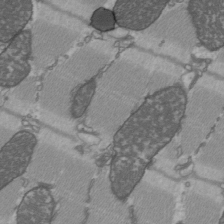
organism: C57BL Mouse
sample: Heart